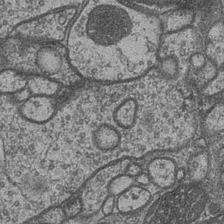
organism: Drosophila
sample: Optic medulla